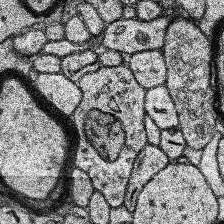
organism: Human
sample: Temporal Lobe